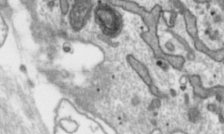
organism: Toxoplasma gondii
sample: Parasites in a vacuole inside a host cell